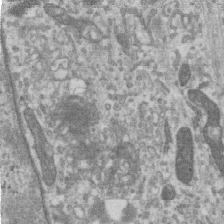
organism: Human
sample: Centriole in RPE cells